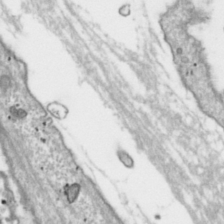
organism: Toxoplasma gondii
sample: Parasites in a vacuole inside a host cell